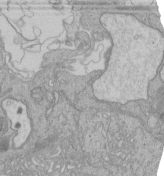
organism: Human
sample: Retinal organoid Rod and Cone cells